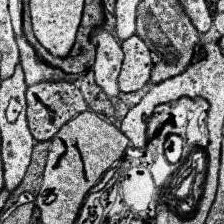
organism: Human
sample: Temporal Lobe